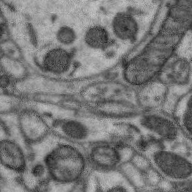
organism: Zebra finch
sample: Brain